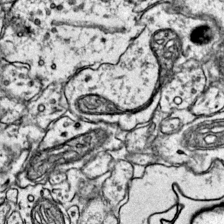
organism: Mouse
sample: Primary visual cortex